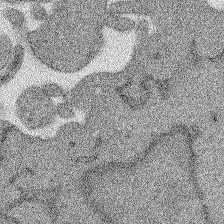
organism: Human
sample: HeLa cells